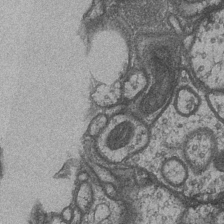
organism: Drosophila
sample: Optic medulla